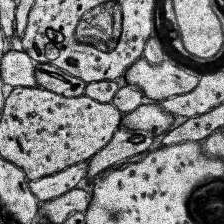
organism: Human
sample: Temporal Lobe